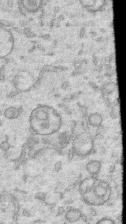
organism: Human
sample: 1205lu cells